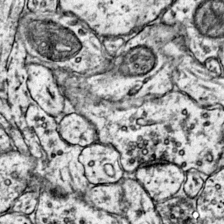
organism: Mouse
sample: Primary visual cortex